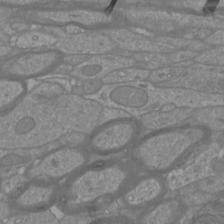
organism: Mouse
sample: Cortical neurons